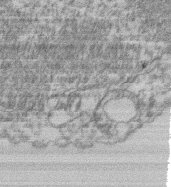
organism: Mouse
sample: T cell stromal cell synapse